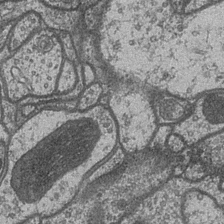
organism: Drosophila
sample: Optic medulla